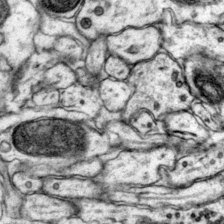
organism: Mouse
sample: Primary visual cortex